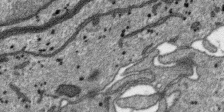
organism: Human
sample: Lung epithelial cells, uninfected (mock) control